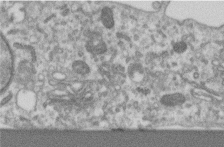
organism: Human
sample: Centriole in RPE cells